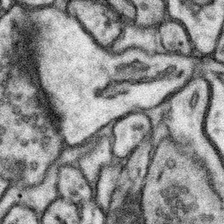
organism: Mouse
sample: Somatosensory cortex neuropil